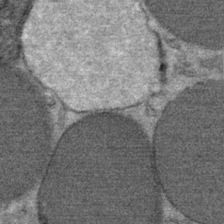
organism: Mouse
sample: Mouse Salivary gland